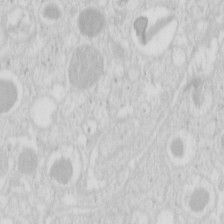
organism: Mouse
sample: Pancreas